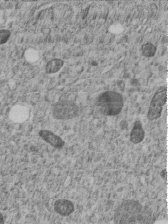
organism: C. elegans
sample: C. elegans embryo early stage